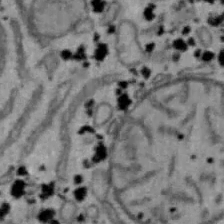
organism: Mouse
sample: Liver